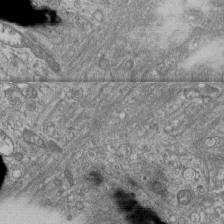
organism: Human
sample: Fibroblast cells